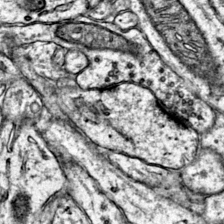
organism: Mouse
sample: Primary visual cortex